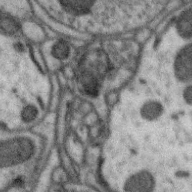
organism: Zebra finch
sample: Brain